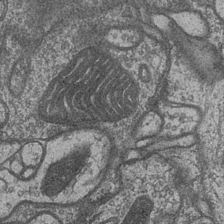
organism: Drosophila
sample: Optic medulla